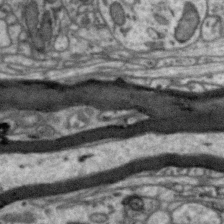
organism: Zebra finch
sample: Brain